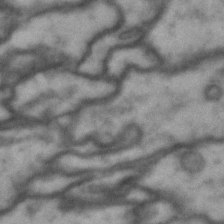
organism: Drosophila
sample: Brain